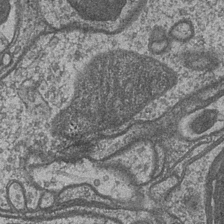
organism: Drosophila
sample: Optic medulla